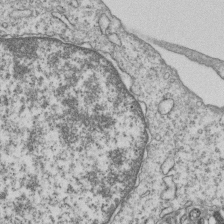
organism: Human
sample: MDA-MB-231 cells